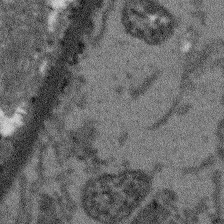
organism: Arabidopsis thaliana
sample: Root tip